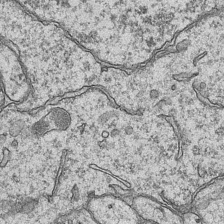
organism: Mouse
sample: CA1 Hippocampus